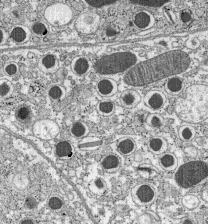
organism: C57BL Mouse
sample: Pancreatic islet